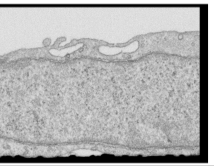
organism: Human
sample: Centriole in RPE cells